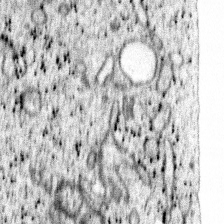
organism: Human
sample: HeLa cells